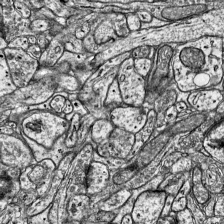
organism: Mouse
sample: Visual Cortex